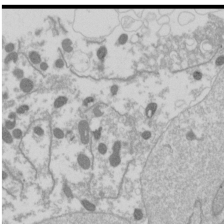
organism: Drosophila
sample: Cell division; meiosis; drosophila spermatocytes